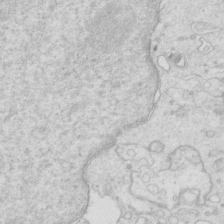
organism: Mouse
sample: Multiciliated cells